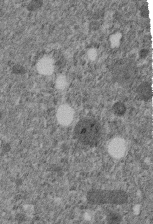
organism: C. elegans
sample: C. elegans embryo early stage